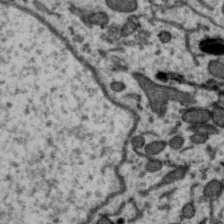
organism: Zebra finch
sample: Brain